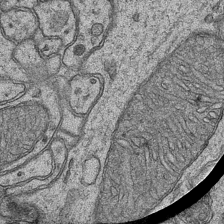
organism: Mouse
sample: CA1 Hippocampus